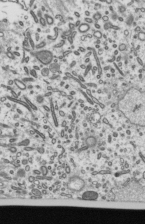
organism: Mouse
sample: Mouse epididymis efferent ductule cilia